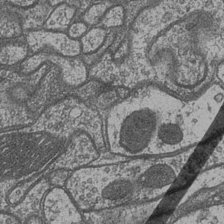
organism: Drosophila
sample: Optic medulla